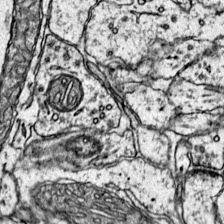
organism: Mouse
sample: Primary visual cortex